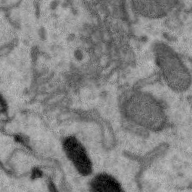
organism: Zebra finch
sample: Brain